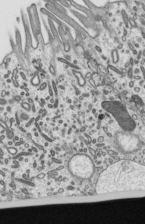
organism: Mouse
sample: Mouse epididymis efferent ductule cilia